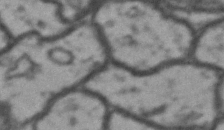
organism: Drosophila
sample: Brain